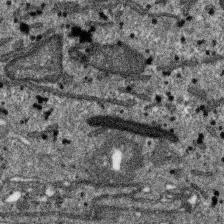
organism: Human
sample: Lung epithelial cells infected with SARS-CoV-2